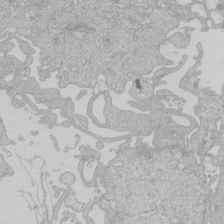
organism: Human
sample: Macrophage cells